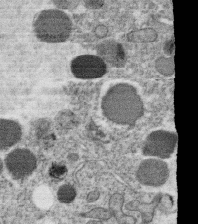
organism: C. elegans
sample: C. elegans oocyte; sperm cells